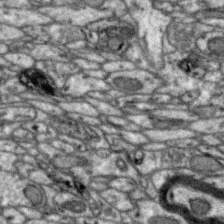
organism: Zebra finch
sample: Brain